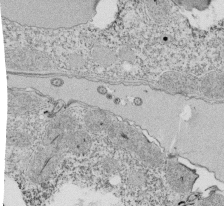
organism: Tetrahymena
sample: Cilia in tetrahymena